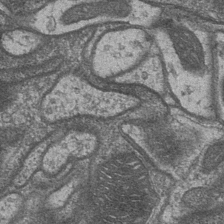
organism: Drosophila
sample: Optic medulla